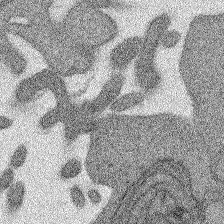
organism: Human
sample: HeLa cells